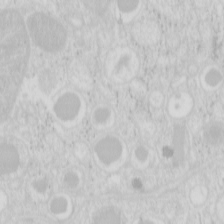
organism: Mouse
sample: Pancreas